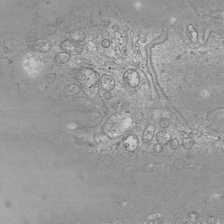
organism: Drosophila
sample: Cell division; meiosis; drosophila spermatocytes